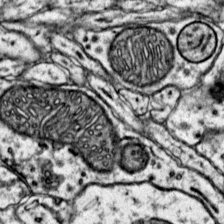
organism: Mouse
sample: Primary visual cortex